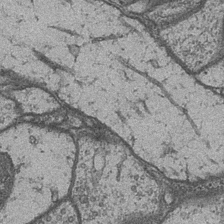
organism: Drosophila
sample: Optic medulla